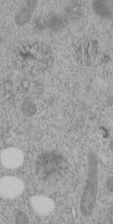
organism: C. elegans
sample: C. elegans embryo early stage